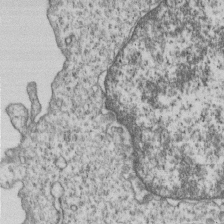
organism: Human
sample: MDA-MB-231 cells